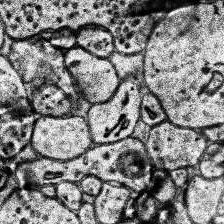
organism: Human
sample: Temporal Lobe